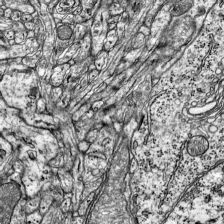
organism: Mouse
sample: Visual Cortex